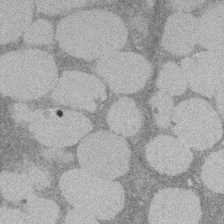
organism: Rat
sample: Salivary granule